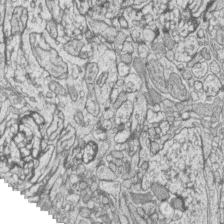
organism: Zebrafish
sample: synaptic ribbons in rod cells and cone cells